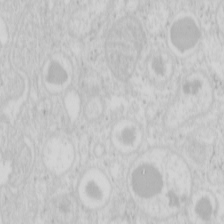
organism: Mouse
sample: Pancreas